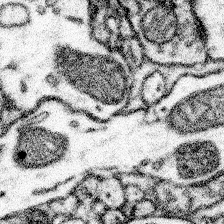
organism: Mouse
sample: Somatosensory cortex neuropil